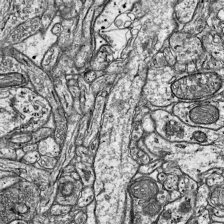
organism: Mouse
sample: Visual Cortex